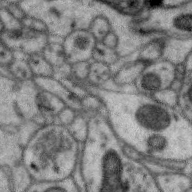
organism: Zebra finch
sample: Brain